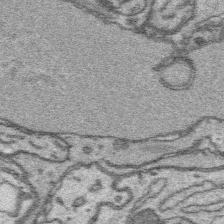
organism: Platynereis dumerilii